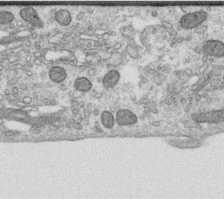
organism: Human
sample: Centriole in RPE cells